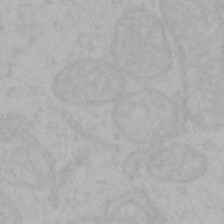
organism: Mouse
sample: Choroid plexus